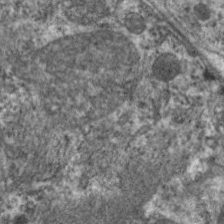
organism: C. elegans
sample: Pharynx